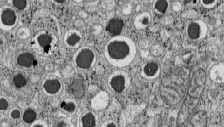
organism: C57BL Mouse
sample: Pancreatic islet